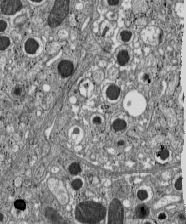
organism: C57BL Mouse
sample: Pancreatic islet